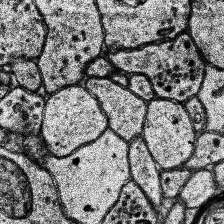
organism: Human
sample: Temporal Lobe